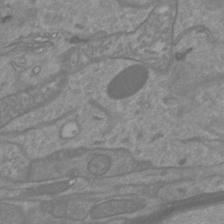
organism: Mouse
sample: Cortical neurons